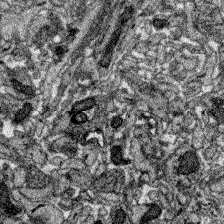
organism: Zebrafish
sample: Larval olfactory bulb